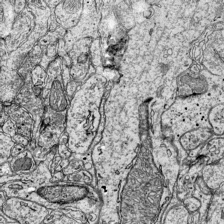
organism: Mouse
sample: Visual Cortex